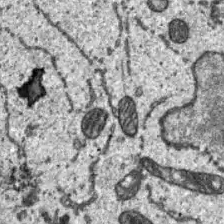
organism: Human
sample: HeLa cells